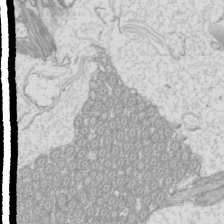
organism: Mouse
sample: Cilia; mouse epididymis